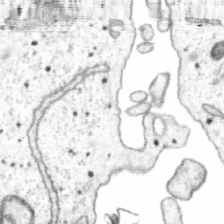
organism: Human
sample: HeLa cells